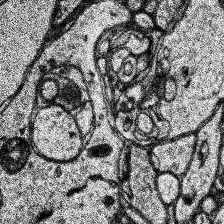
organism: Human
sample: Temporal Lobe